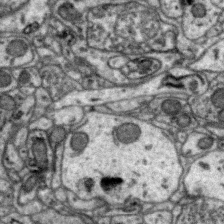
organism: Zebra finch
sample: Brain